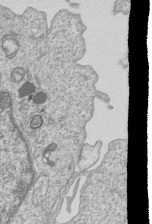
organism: Human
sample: MDA-MB-231 cells